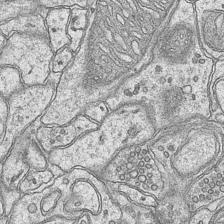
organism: Mouse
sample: CA1 Hippocampus